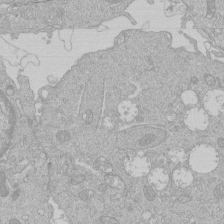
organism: Human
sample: Macrophage cells